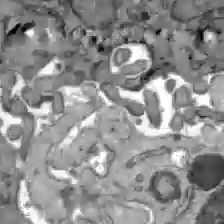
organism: C57BL Mouse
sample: Liver